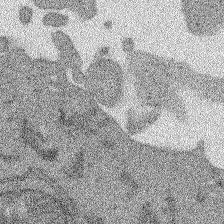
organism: Human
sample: HeLa cells